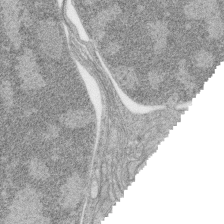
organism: Zebrafish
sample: synaptic ribbons in rod cells and cone cells